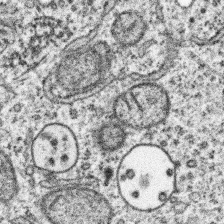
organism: Human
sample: HeLa cells